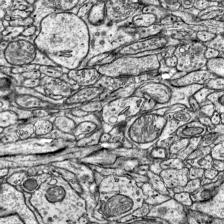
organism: Mouse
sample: Visual Cortex